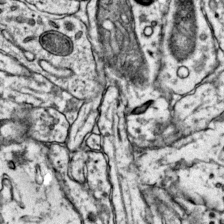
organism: Mouse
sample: Primary visual cortex